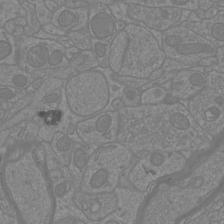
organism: Mouse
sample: Cortical neurons